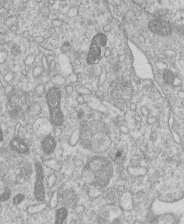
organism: Human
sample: Macrophage cells